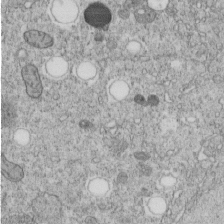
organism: C. elegans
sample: C. elegans embryo early stage